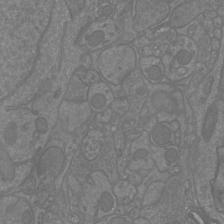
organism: Mouse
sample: Cortical neurons